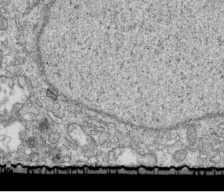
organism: Human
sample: HeLa cell HIV synapse